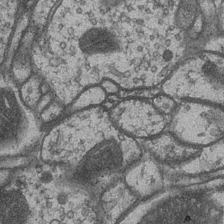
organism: Drosophila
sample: Optic medulla